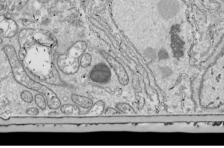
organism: Drosophila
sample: Cell division; meiosis; drosophila spermatocytes